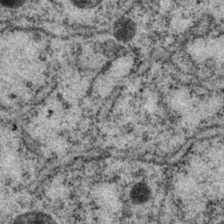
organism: P. pacificus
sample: Pharynx